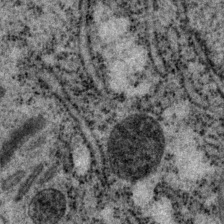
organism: P. pacificus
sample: Pharynx